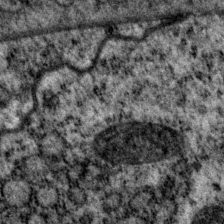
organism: P. pacificus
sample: Pharynx